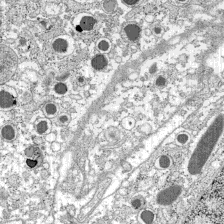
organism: C57BL Mouse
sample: Pancreatic islet